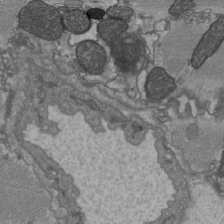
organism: C57BL Mouse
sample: Heart